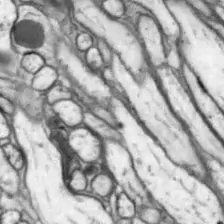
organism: Drosophila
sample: Optic lobe